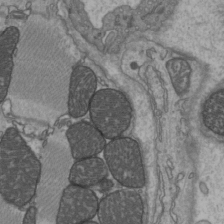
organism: C57BL Mouse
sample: Heart